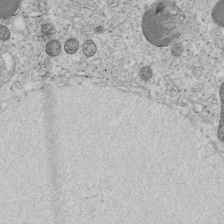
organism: C. elegans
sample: C. elegans embryo early stage